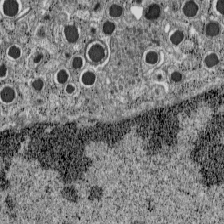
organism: C57BL Mouse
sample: Pancreatic islet